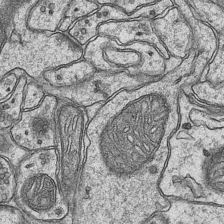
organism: Mouse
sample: CA1 Hippocampus